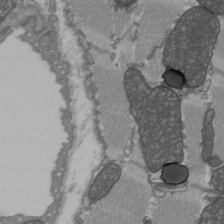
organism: C57BL Mouse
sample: Heart